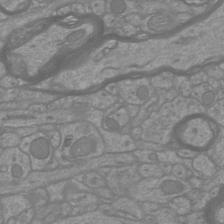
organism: Mouse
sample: Cortical neurons